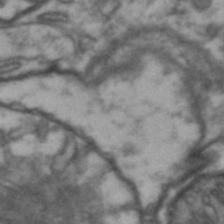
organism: Drosophila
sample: Brain